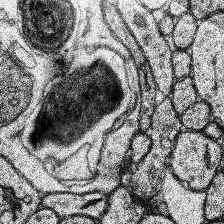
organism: Human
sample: Temporal Lobe